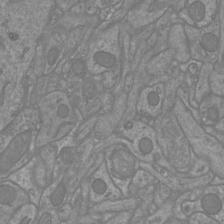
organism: Mouse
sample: Cortical neurons